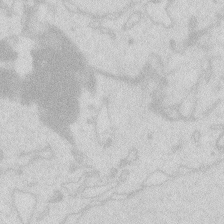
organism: Zebrafish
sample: Macrophage